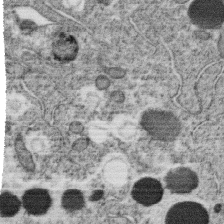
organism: C. elegans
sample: C. elegans oocyte; sperm cells